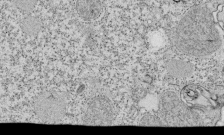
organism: Tetrahymena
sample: Cilia in tetrahymena